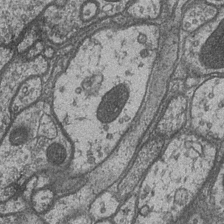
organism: Drosophila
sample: Optic medulla